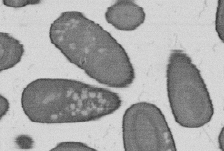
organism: B. subtilis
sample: Bacterial spore